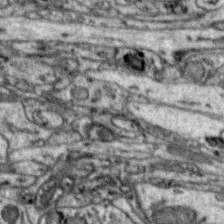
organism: Zebra finch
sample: Brain